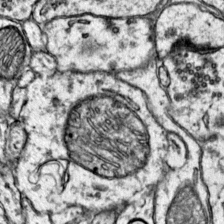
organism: Mouse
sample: Primary visual cortex